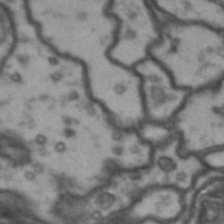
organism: Drosophila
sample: Brain